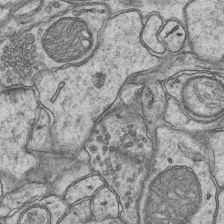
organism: Mouse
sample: CA1 Hippocampus